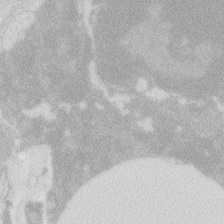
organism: Zebrafish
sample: Macrophage